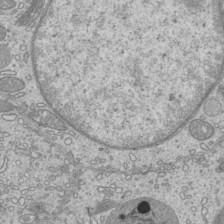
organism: Mouse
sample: Cilia; mouse epididymis